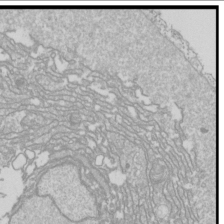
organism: Drosophila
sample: Cell division; meiosis; drosophila spermatocytes